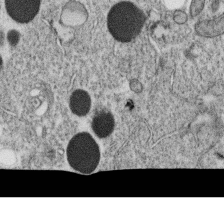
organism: C. elegans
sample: C. elegans oocyte; sperm cells